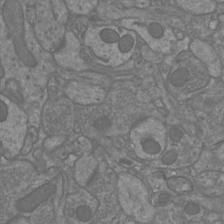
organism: Mouse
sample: Cortical neurons